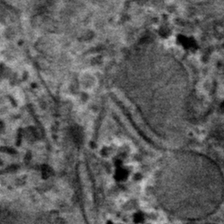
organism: Mouse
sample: Mouse hepatocytes